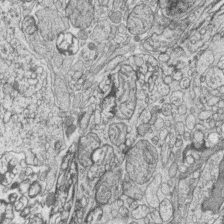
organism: Zebrafish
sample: synaptic ribbons in rod cells and cone cells